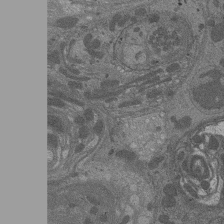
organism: Drosophila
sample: Antenna